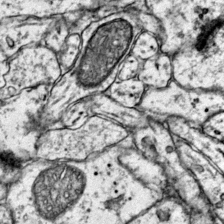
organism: Mouse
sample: Primary visual cortex